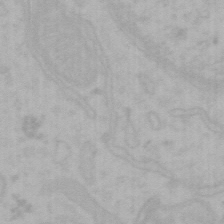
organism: Mouse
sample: Choroid plexus